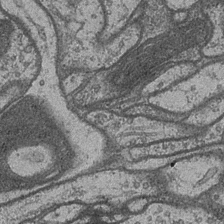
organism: Drosophila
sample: Optic medulla